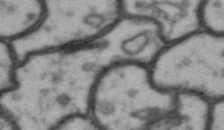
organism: Drosophila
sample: Brain